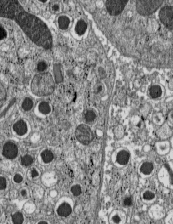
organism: C57BL Mouse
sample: Pancreatic islet